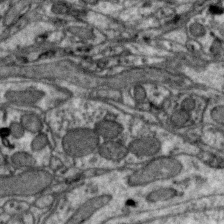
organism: Zebra finch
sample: Brain